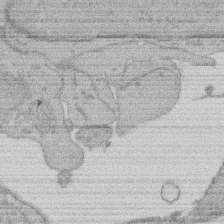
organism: Rat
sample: Salivary granule